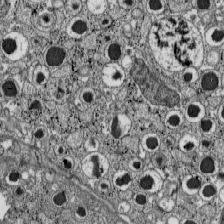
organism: C57BL Mouse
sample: Pancreatic islet